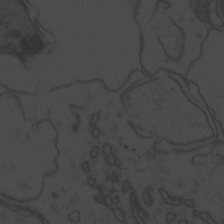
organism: Zebrafish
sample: Macrophage infected with Toxoplasma gondii